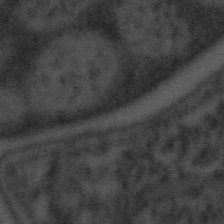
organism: Tuwongella immobilis